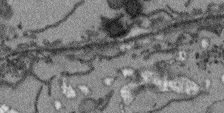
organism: Arabidopsis thaliana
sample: Root tip